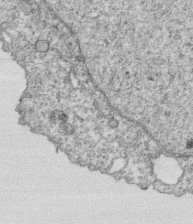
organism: Human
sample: HeLa cell HIV synapse